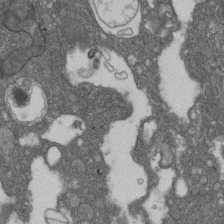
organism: Drosophila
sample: Nephrocyte